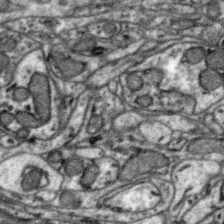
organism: Zebra finch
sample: Brain